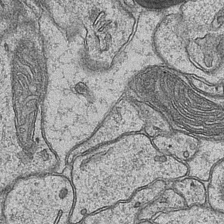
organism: Mouse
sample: CA1 Hippocampus